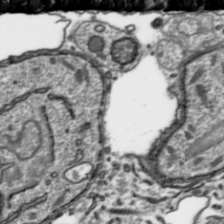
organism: Toxoplasma gondii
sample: Parasites in a vacuole inside a host cell